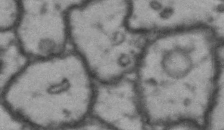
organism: Drosophila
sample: Brain